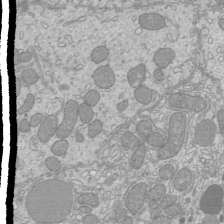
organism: Mouse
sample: Cilia; mouse epididymis